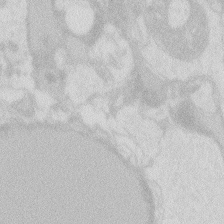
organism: Zebrafish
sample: Macrophage